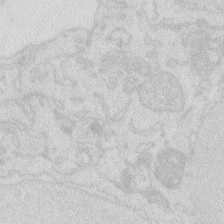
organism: Zebrafish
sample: Macrophage